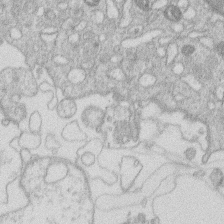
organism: Human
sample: Macrophage cells